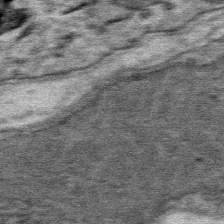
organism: Mouse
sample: Mouse Salivary gland